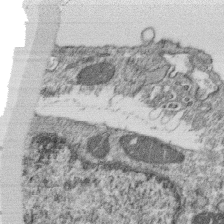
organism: African green monkey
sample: Vero E6 cells infected with SARS-CoV-2